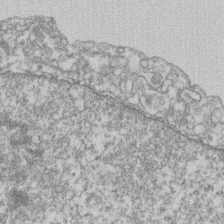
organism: Mouse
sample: T cell stromal cell synapse